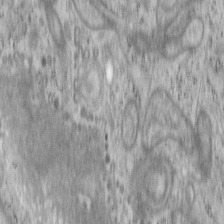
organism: Human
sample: HeLa cells